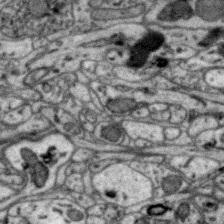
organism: Zebra finch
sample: Brain